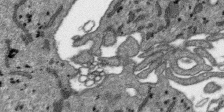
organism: Human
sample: Lung epithelial cells, uninfected (mock) control